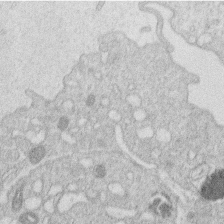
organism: Human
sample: Macrophage cells